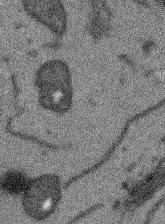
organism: Arabidopsis thaliana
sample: Root tip